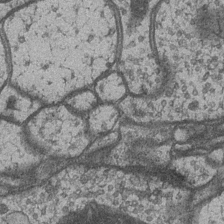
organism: Drosophila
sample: Optic medulla